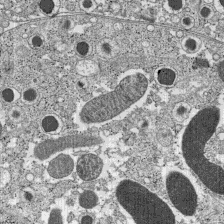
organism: C57BL Mouse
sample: Pancreatic islet